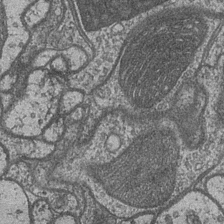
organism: Drosophila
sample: Optic medulla